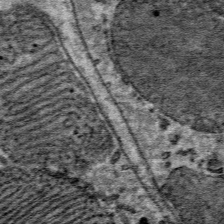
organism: Mouse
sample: Mouse Salivary gland